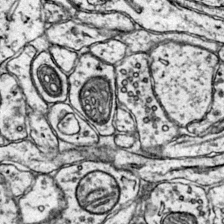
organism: Mouse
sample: Primary visual cortex